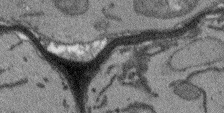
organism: Arabidopsis thaliana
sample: Root tip